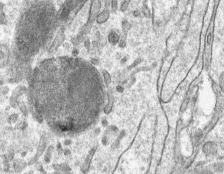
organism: Mouse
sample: Mouse hepatocytes